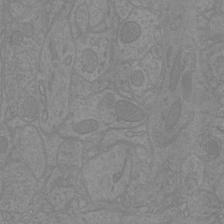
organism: Mouse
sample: Cortical neurons